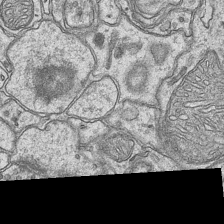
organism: Mouse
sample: CA1 Hippocampus